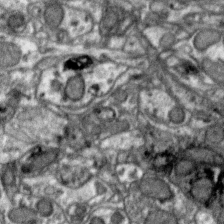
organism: Zebra finch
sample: Brain